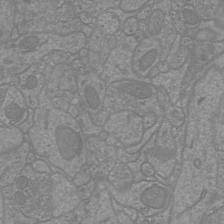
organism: Mouse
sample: Cortical neurons